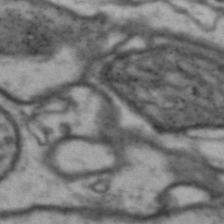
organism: Drosophila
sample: Brain